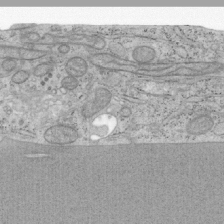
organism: Human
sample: HeLa cells